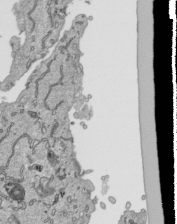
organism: Human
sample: Mitochondria in HCT116 cells